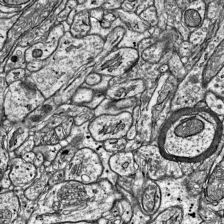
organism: Mouse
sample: Visual Cortex